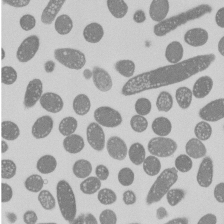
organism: E. coli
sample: Bacterial nucleoid